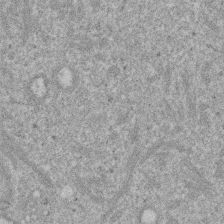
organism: Mouse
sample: Dividing mouse embryo 1 cell stage